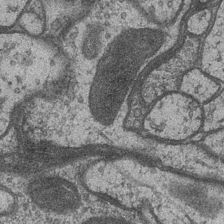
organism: Drosophila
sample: Optic medulla